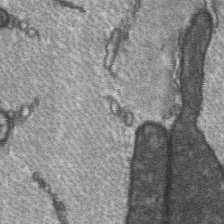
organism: C57BL Mouse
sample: Soleus